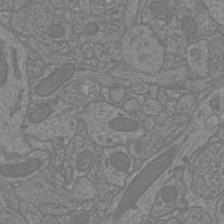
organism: Mouse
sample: Cortical neurons